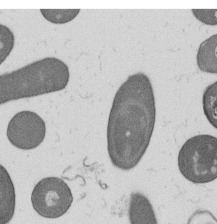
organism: B. subtilis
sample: Bacterial spore